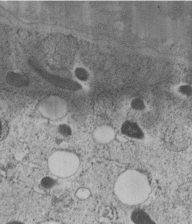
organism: C. elegans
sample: C. elegans embryo early stage